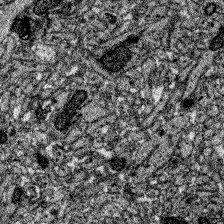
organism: Zebrafish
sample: Larval olfactory bulb